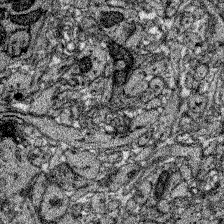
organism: Zebrafish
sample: Larval olfactory bulb